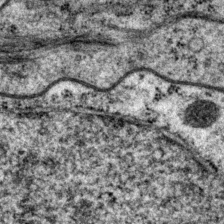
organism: P. pacificus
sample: Pharynx